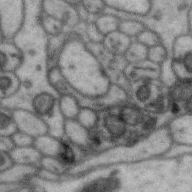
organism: Zebra finch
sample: Brain